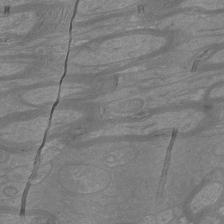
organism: Mouse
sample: Cortical neurons